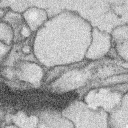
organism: Rabbit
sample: Retina